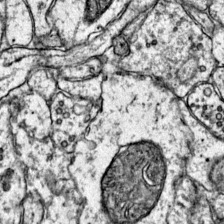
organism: Mouse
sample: Primary visual cortex